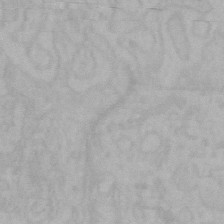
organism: Mouse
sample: Choroid plexus